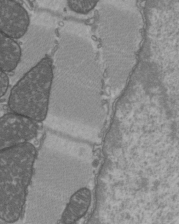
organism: C57BL Mouse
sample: Heart